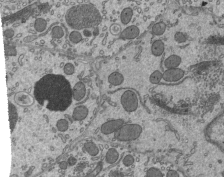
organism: Mouse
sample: Mouse epididymis efferent ductule cilia